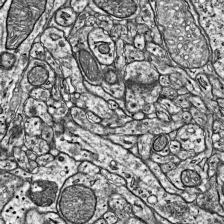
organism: Mouse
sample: Visual Cortex